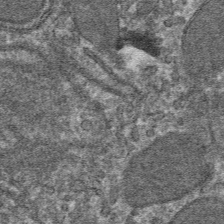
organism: Mouse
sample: Mouse hepatocytes